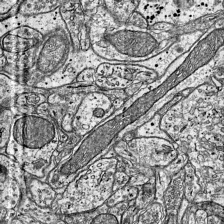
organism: Mouse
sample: Visual Cortex